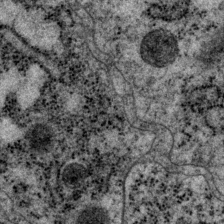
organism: P. pacificus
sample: Pharynx